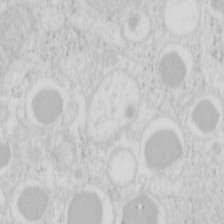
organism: Mouse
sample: Pancreas